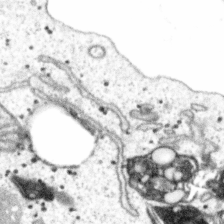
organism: Human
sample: HeLa cells